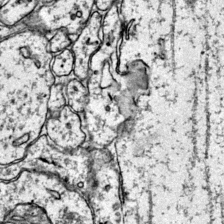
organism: Mouse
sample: Primary visual cortex